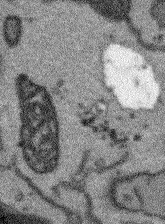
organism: Arabidopsis thaliana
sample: Root tip